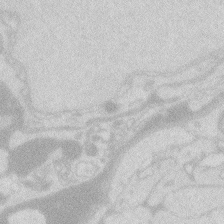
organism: Zebrafish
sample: Macrophage